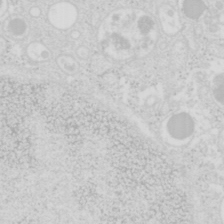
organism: Mouse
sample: Pancreas